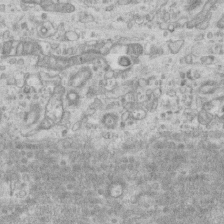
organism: Mouse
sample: Centriole in ependymal cells